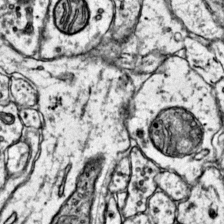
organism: Mouse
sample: Primary visual cortex